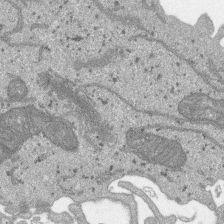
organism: Human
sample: Lung epithelial cells infected with SARS-CoV-2